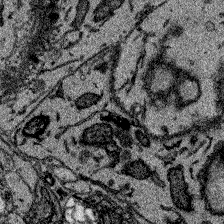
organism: Zebrafish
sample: Larval olfactory bulb